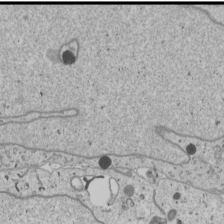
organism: Human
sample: Mitochondria in U2OS cells